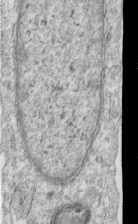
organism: Human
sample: Centriole in RPE cells